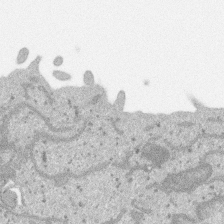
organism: Human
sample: Lung epithelial cells infected with SARS-CoV-2